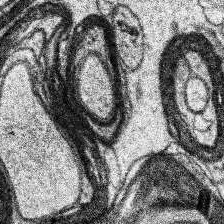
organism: Human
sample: Temporal Lobe